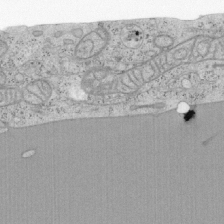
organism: Human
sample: HeLa cells